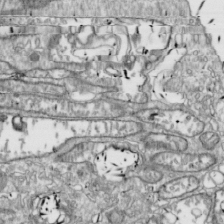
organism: Drosophila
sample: Cell division; meiosis; drosophila spermatocytes